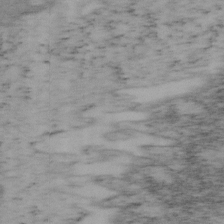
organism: Mouse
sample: OT-I killer T cells with ID8 ovarian cancer cells